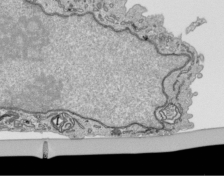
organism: Human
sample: Mitochondria in HCT116 cells